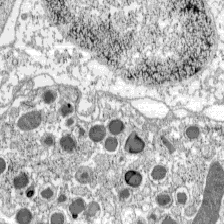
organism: C57BL Mouse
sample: Pancreatic islet